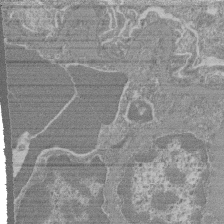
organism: Mouse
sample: Glomerulus